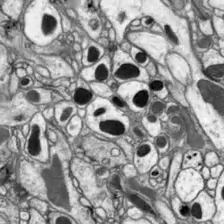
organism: Drosophila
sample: Optic lobe